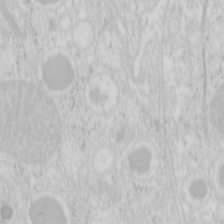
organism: Mouse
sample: Pancreas